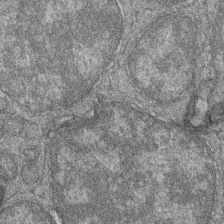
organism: Zebrafish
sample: Cilia; retinal pigment epithelium